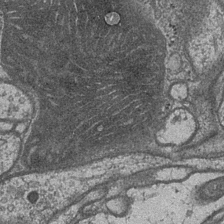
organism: Drosophila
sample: Optic medulla